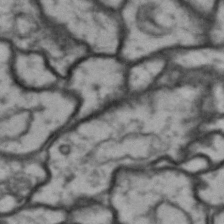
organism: Drosophila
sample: Brain